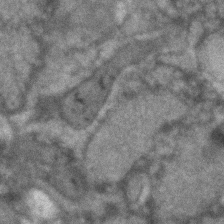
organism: Human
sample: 1205lu cells